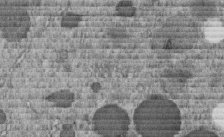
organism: C. elegans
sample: C. elegans embryo early stage